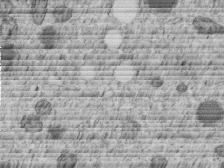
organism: C. elegans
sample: C. elegans embryo early stage